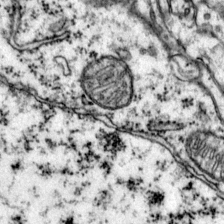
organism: Mouse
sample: Primary visual cortex